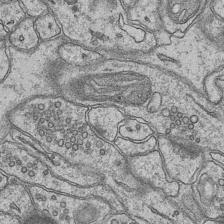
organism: Mouse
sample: CA1 Hippocampus